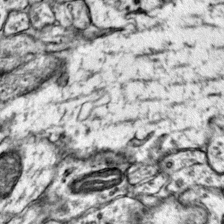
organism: Mouse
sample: Primary visual cortex